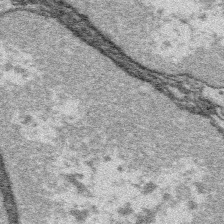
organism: Platynereis dumerilii